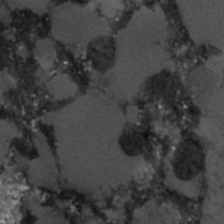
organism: C. elegans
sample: C. elegans embryo